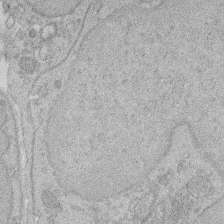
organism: Rat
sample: Salivary granule